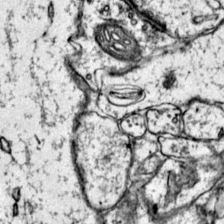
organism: Mouse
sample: Primary visual cortex